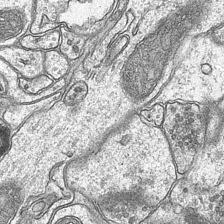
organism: Mouse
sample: CA1 Hippocampus